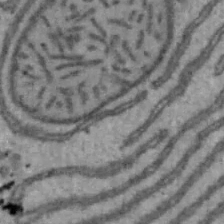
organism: Mouse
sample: Liver